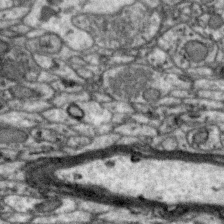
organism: Zebra finch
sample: Brain